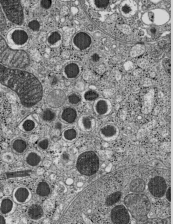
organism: C57BL Mouse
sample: Pancreatic islet